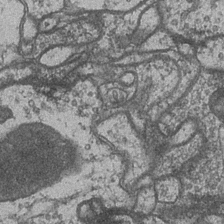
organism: Drosophila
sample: Optic medulla